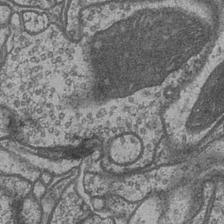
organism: Drosophila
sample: Optic medulla